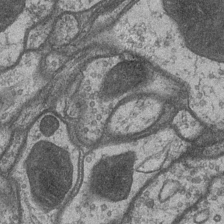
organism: Drosophila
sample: Optic medulla